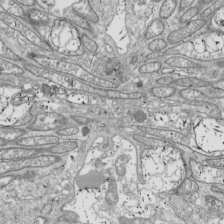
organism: Drosophila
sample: Cell division; meiosis; drosophila spermatocytes